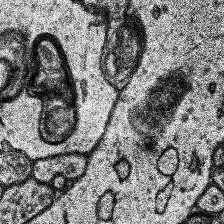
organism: Human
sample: Temporal Lobe